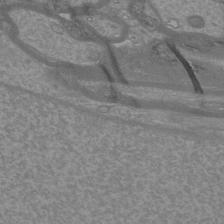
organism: Mouse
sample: Cortical neurons